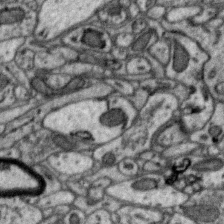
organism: Zebra finch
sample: Brain